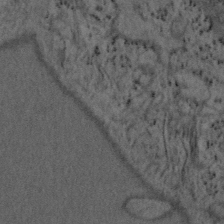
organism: Human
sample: HeLa cells